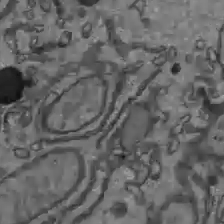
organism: C57BL Mouse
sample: Liver